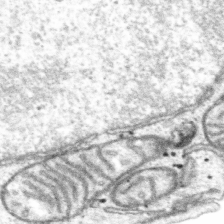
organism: Human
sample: HeLa cells